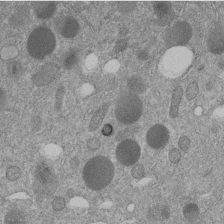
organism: C. elegans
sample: C. elegans embryo early stage